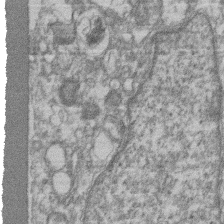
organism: Mouse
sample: T cell stromal cell synapse